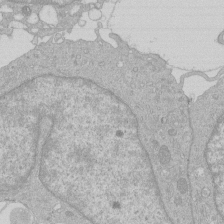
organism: Human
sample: Macrophage cells